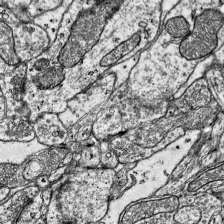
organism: Mouse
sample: Visual Cortex